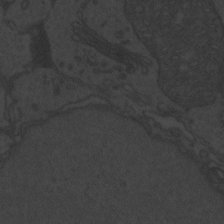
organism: Zebrafish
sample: Macrophage infected with Toxoplasma gondii